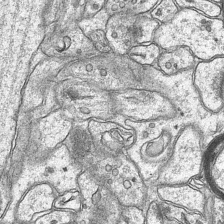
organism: Mouse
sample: CA1 Hippocampus